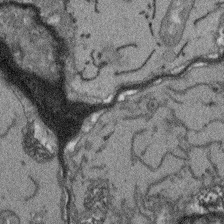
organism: Arabidopsis thaliana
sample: Root tip